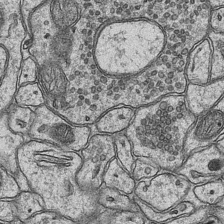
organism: Mouse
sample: CA1 Hippocampus